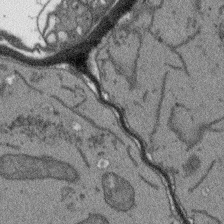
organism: Arabidopsis thaliana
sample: Root tip